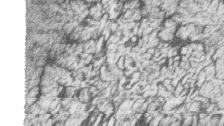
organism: Zebrafish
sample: synaptic ribbons in rod cells and cone cells